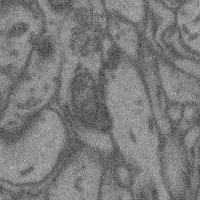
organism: Mouse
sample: Cerebral cortex